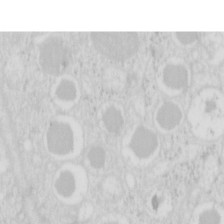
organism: Mouse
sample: Pancreas